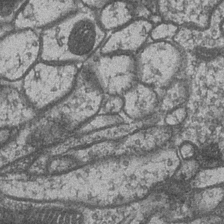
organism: Drosophila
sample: Optic medulla